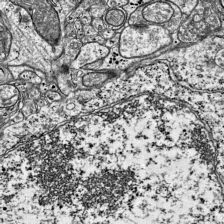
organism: Mouse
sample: Visual Cortex